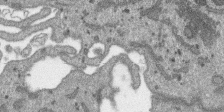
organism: Human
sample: Lung epithelial cells infected with SARS-CoV-2